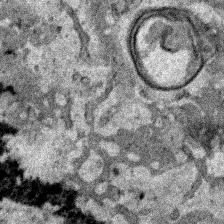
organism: Human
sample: Mitochondria in HCT116 cells